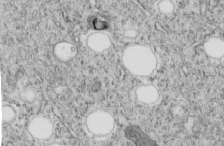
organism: C. elegans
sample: C. elegans embryo early stage